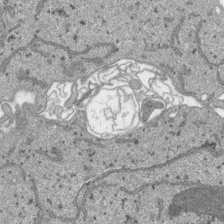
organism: Human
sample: Lung epithelial cells infected with SARS-CoV-2